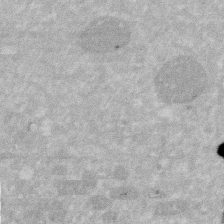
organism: Human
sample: HIV infected U937 cells